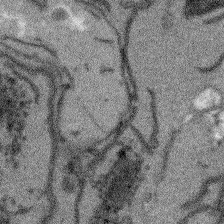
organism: Arabidopsis thaliana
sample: Root tip